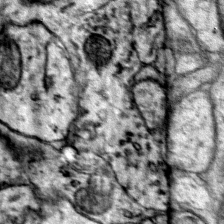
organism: Mouse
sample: Primary visual cortex